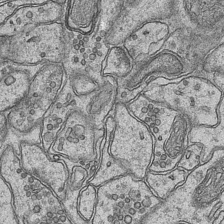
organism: Mouse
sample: CA1 Hippocampus